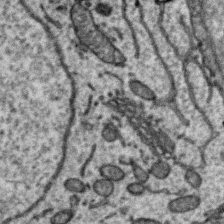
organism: Zebra finch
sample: Brain